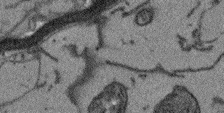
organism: Arabidopsis thaliana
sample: Root tip